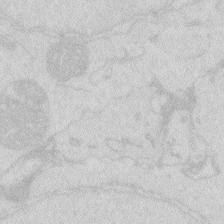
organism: Zebrafish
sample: Macrophage